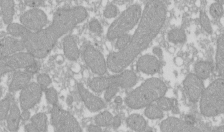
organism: Xenopus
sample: Cilia; centrioles in frog embryo cells